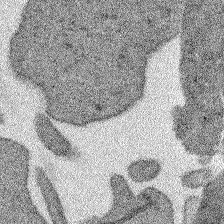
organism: Human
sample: HeLa cells